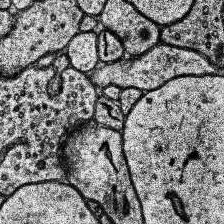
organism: Human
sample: Temporal Lobe